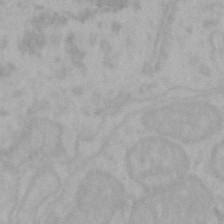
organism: Mouse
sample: Choroid plexus